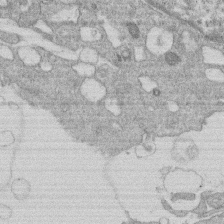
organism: Human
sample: Macrophage cells